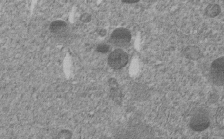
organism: C. elegans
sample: C. elegans embryo early stage